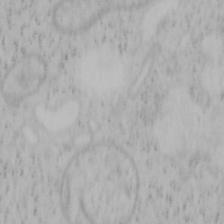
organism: Mouse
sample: OT-I killer T cells with ID8 ovarian cancer cells